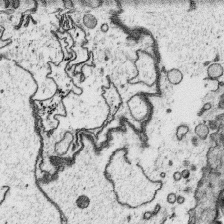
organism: Platynereis dumerilii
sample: Parapodia